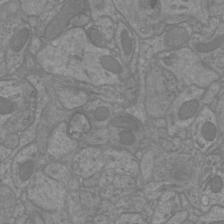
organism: Mouse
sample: Cortical neurons